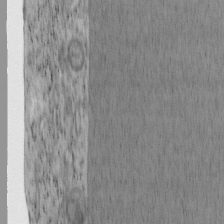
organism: Human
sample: HeLa cells